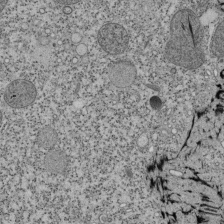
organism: Tetrahymena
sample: Cilia in tetrahymena